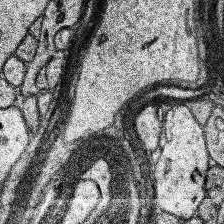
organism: Human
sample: Temporal Lobe